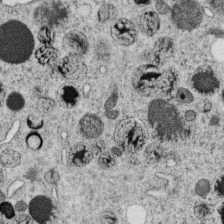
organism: C. elegans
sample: C. elegans oocyte; sperm cells